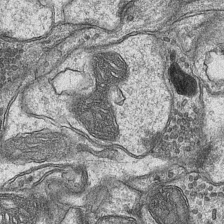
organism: Mouse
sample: CA1 Hippocampus